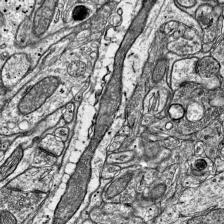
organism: Mouse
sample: Visual Cortex